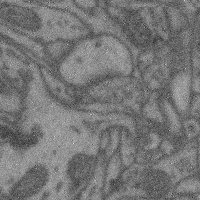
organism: Mouse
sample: Cerebral cortex